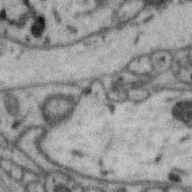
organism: Zebra finch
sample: Brain